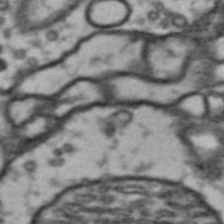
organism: Drosophila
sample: Brain